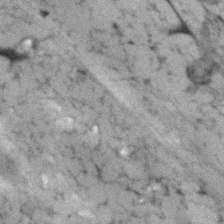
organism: Human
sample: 1205lu cells